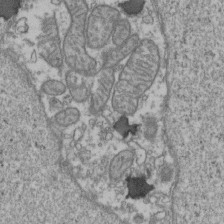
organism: Human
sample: Activated Jurkat CD4+ T cells